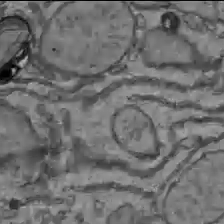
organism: C57BL Mouse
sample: Liver